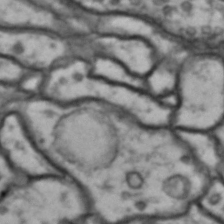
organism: Drosophila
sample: Brain